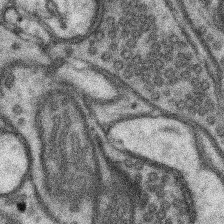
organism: Mouse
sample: Somatosensory cortex neuropil